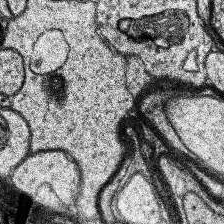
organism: Human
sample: Temporal Lobe